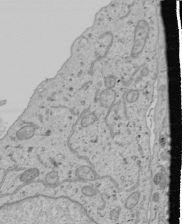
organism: Human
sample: Mitochondria in U2OS cells